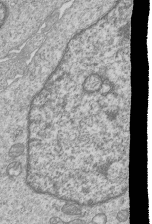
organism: Human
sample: MDA-MB-231 cells